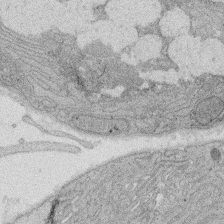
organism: Rat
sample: Salivary granule